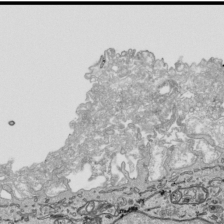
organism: Human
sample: Mitochondria in HCT116 cells